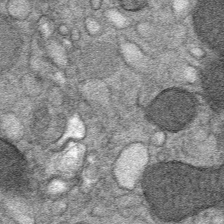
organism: Mouse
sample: Mouse Salivary gland